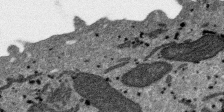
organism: Human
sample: Lung epithelial cells, uninfected (mock) control